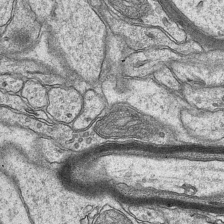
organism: Mouse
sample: CA1 Hippocampus